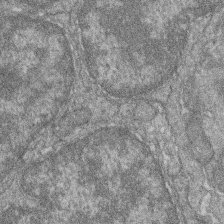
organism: Zebrafish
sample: Cilia; retinal pigment epithelium